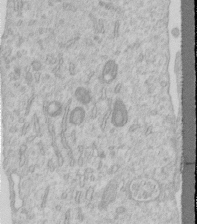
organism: Human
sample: Centriole in RPE cells